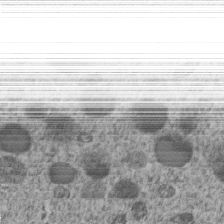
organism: C. elegans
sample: C. elegans embryo early stage